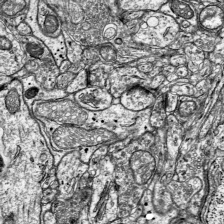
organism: Mouse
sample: Visual Cortex